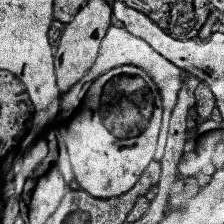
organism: Human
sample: Temporal Lobe